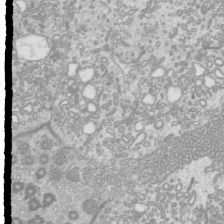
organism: Mouse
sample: Cilia; mouse epididymis